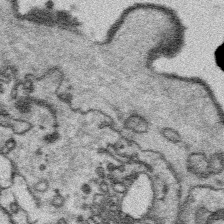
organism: Platynereis dumerilii